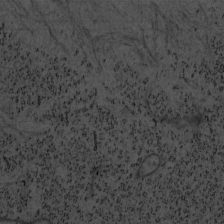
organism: Mouse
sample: OT-I killer T cells with ID8 ovarian cancer cells